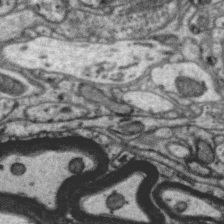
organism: Zebra finch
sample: Brain